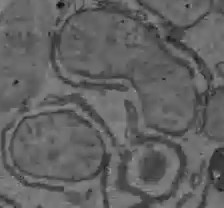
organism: C57BL Mouse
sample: Liver